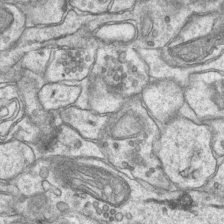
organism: Mouse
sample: CA1 Hippocampus